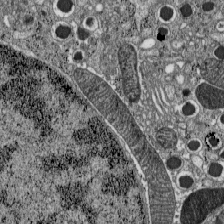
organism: C57BL Mouse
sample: Pancreatic islet